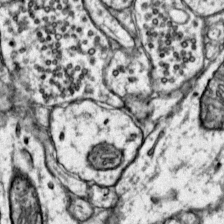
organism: Mouse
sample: Primary visual cortex